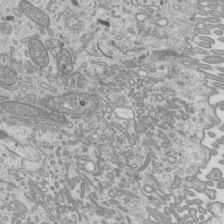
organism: Mouse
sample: Cilia; mouse epididymis